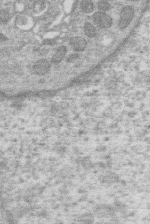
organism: Human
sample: Macrophage cells